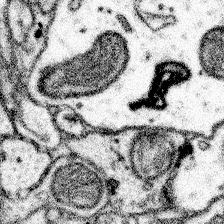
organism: Mouse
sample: Somatosensory cortex neuropil